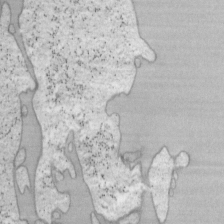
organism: Mouse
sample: OT-I killer T cells with ID8 ovarian cancer cells